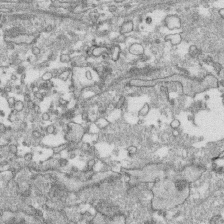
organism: Human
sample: CRL-1474